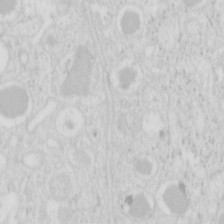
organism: Mouse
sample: Pancreas